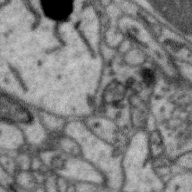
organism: Zebra finch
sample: Brain